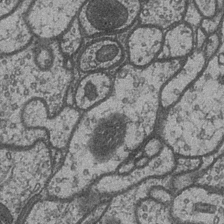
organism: Drosophila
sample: Optic medulla